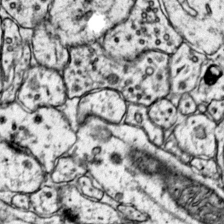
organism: Mouse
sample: Primary visual cortex